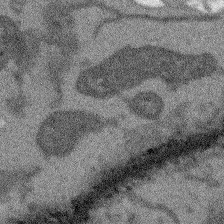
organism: Arabidopsis thaliana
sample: Root tip